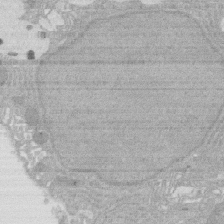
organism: Rat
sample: Salivary granule